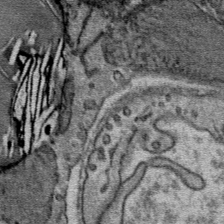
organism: Mouse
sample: Mouse Salivary gland